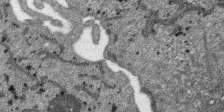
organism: Human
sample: Lung epithelial cells infected with SARS-CoV-2